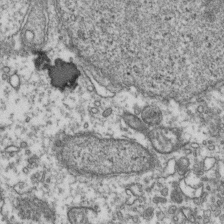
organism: Human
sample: Activated Jurkat CD4+ T cells